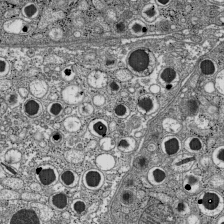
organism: C57BL Mouse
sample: Pancreatic islet